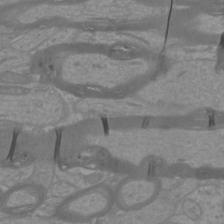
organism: Mouse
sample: Cortical neurons